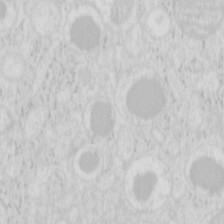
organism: Mouse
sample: Pancreas